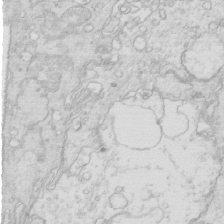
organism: Mouse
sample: Multiciliated cells